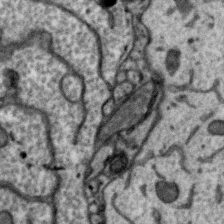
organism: Zebra finch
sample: Brain